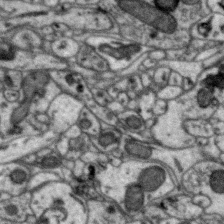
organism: Zebra finch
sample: Brain